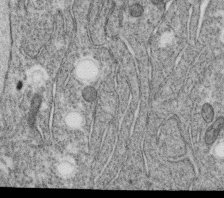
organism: C. elegans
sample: C. elegans oocyte; sperm cells